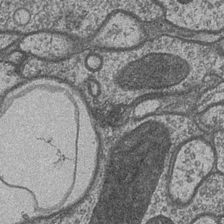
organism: Drosophila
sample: Optic medulla